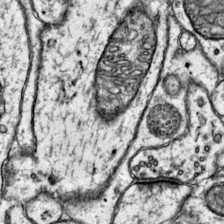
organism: Mouse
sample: Primary visual cortex